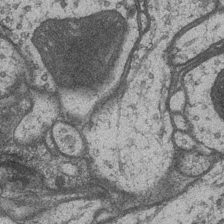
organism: Drosophila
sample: Optic medulla